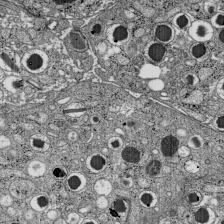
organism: C57BL Mouse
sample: Pancreatic islet